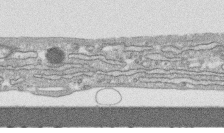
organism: Human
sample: CRL-1474